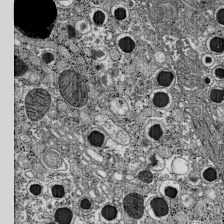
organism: C57BL Mouse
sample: Pancreatic islet